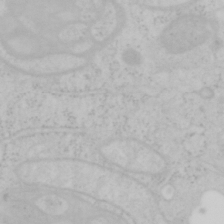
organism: Mouse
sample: OT-I killer T cells with ID8 ovarian cancer cells